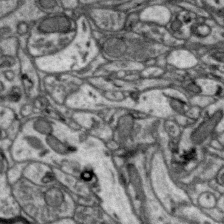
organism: Zebra finch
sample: Brain